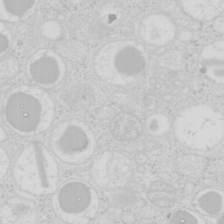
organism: Mouse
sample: Pancreas